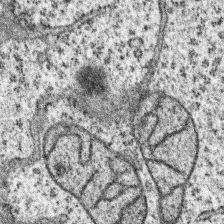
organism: Human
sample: HeLa cells